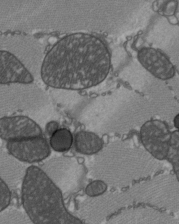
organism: C57BL Mouse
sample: Heart